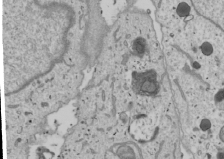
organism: Human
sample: Mitochondria in U2OS cells